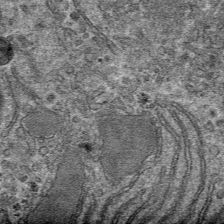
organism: Mouse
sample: Mouse hepatocytes